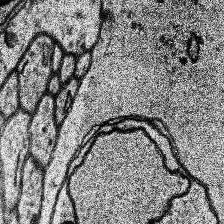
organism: Human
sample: Temporal Lobe